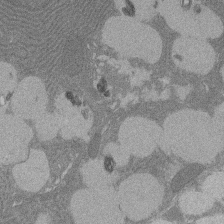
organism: Rat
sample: Salivary granule